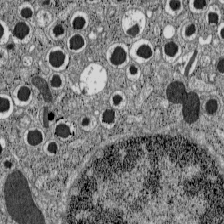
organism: C57BL Mouse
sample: Pancreatic islet